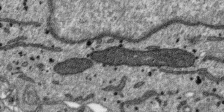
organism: Human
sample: Lung epithelial cells, uninfected (mock) control